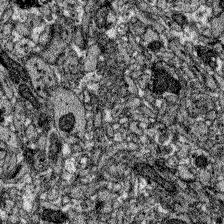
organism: Zebrafish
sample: Larval olfactory bulb